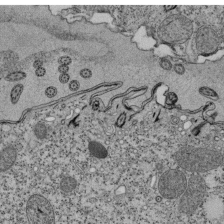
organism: Tetrahymena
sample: Cilia in tetrahymena